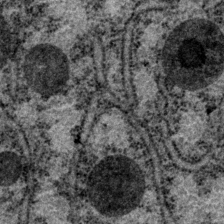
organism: P. pacificus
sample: Pharynx